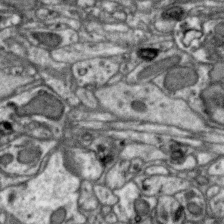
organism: Zebra finch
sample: Brain